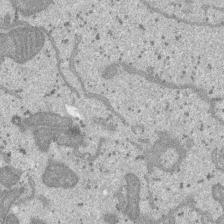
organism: Human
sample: Lung epithelial cells infected with SARS-CoV-2